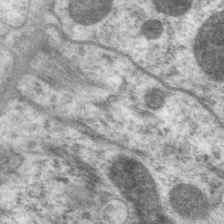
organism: P. pacificus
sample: Pharynx